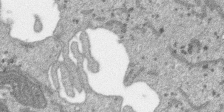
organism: Human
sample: Lung epithelial cells infected with SARS-CoV-2